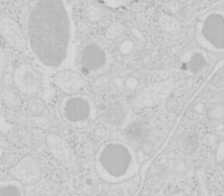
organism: Mouse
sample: Pancreas